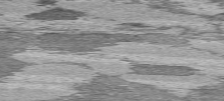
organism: C57BL Mouse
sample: Heart